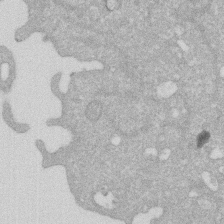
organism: Human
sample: HIV infected U937 cells